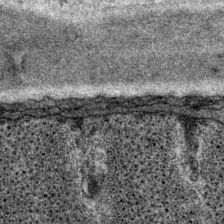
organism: P. pacificus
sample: Pharynx